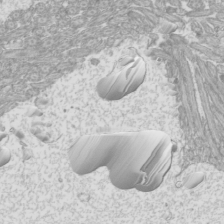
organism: Mouse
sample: Cilia; mouse epididymis